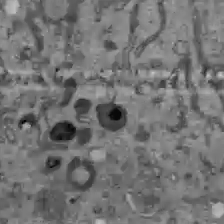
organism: C57BL Mouse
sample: Liver